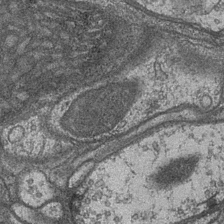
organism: Drosophila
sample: Optic medulla